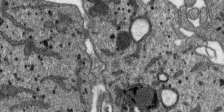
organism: Human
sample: Lung epithelial cells infected with SARS-CoV-2